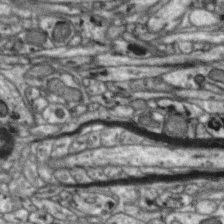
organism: Zebra finch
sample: Brain